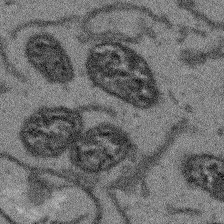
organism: Arabidopsis thaliana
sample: Root tip